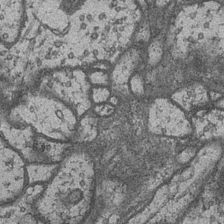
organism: Drosophila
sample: Optic medulla